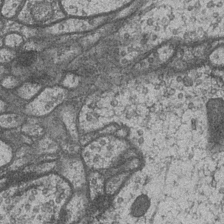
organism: Drosophila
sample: Optic medulla